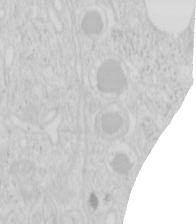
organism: Mouse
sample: Pancreas